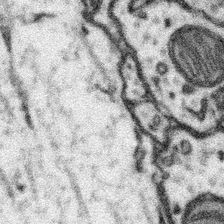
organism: Mouse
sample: Somatosensory cortex neuropil